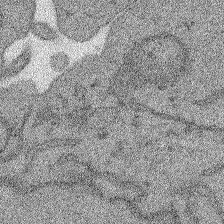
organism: Human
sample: HeLa cells